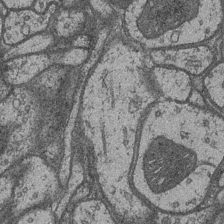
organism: Drosophila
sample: Optic medulla